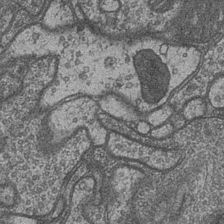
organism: Drosophila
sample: Optic medulla